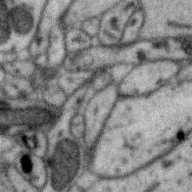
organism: Zebra finch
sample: Brain